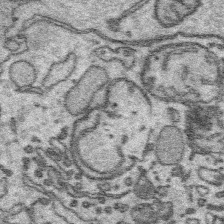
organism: Platynereis dumerilii